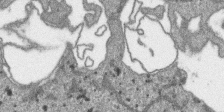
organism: Human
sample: Lung epithelial cells infected with SARS-CoV-2